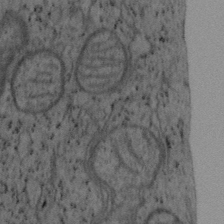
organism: Human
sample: HeLa cells